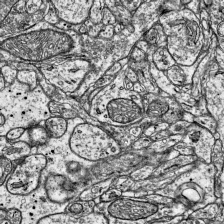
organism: Mouse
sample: Visual Cortex